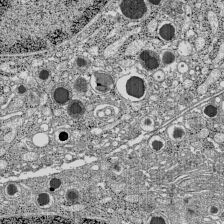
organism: C57BL Mouse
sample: Pancreatic islet